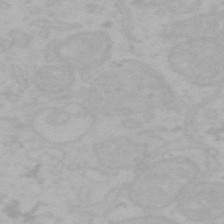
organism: Mouse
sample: Choroid plexus